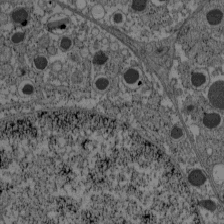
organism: C57BL Mouse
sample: Pancreatic islet